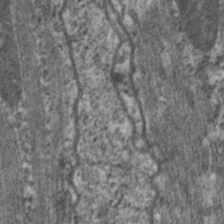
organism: C. elegans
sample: Pharynx